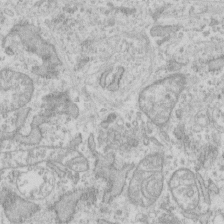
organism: Human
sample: Fibroblast cells